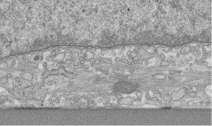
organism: Human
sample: Centriole in RPE cells